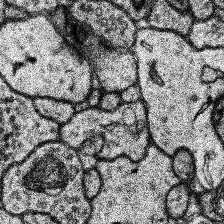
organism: Human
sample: Temporal Lobe